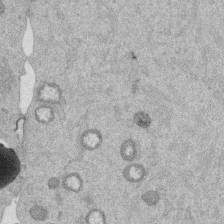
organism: Mouse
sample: Dividing mouse embryo 1 cell stage